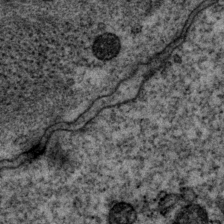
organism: P. pacificus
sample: Pharynx